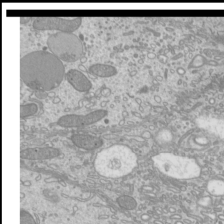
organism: Mouse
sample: Cilia; mouse epididymis